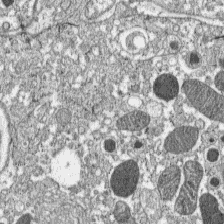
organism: C57BL Mouse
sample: Pancreatic islet